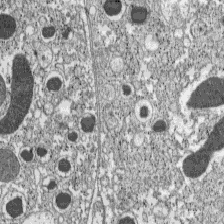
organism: C57BL Mouse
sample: Pancreatic islet